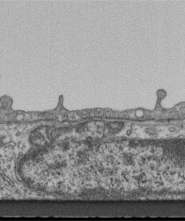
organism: Mouse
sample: Centriole in ependymal cells